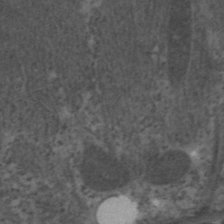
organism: C. elegans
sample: Pharynx